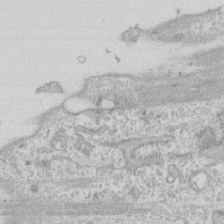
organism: Human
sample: Fibroblast cells